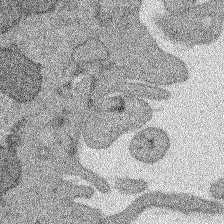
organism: Human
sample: HeLa cells